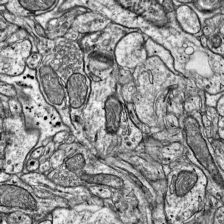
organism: Mouse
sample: Visual Cortex